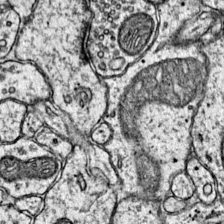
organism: Mouse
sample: Primary visual cortex